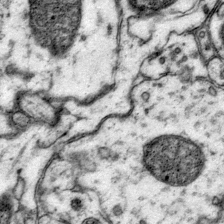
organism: Mouse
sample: Primary visual cortex